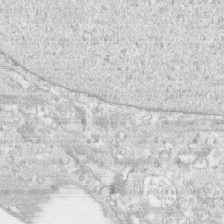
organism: Human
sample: CRL-1474